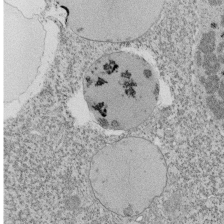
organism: Tetrahymena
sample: Cilia in tetrahymena